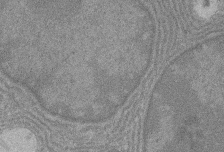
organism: Rat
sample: Salivary granule